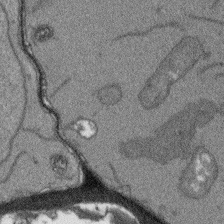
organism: Arabidopsis thaliana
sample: Root tip